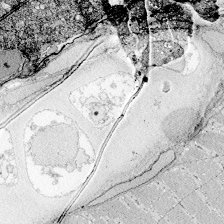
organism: Zebrafish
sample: Whole-Brain